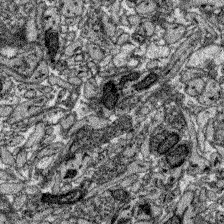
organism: Zebrafish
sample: Larval olfactory bulb